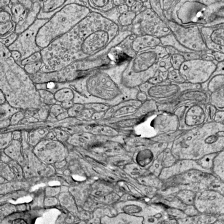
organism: Mouse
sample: Visual Cortex